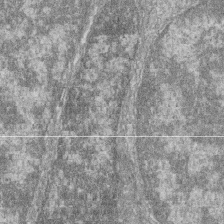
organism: Zebrafish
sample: Cilia; retinal pigment epithelium